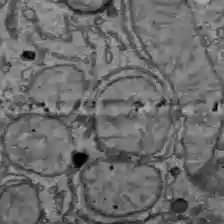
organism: C57BL Mouse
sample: Liver